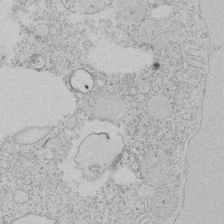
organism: Tetrahymena